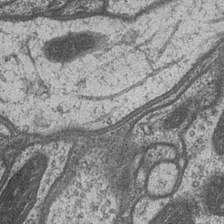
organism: Drosophila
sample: Optic medulla